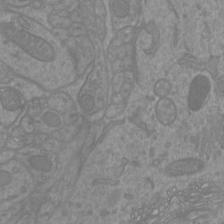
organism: Mouse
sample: Cortical neurons